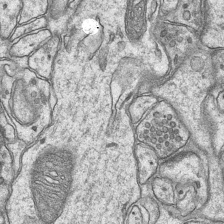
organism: Mouse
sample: CA1 Hippocampus